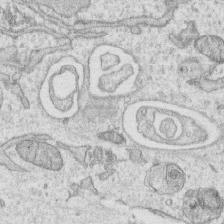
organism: Human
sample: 1205lu cells